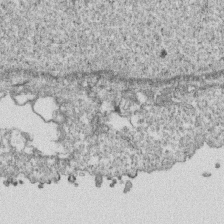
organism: Human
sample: HeLa cell HIV synapse